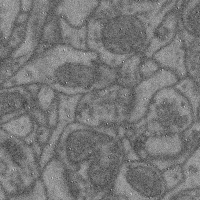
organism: Mouse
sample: Cerebral cortex